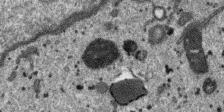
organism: Human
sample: Lung epithelial cells infected with SARS-CoV-2